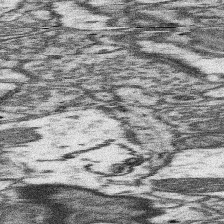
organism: Mouse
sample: Somatosensory cortex neuropil